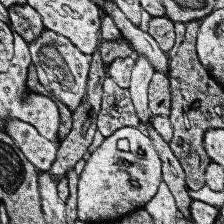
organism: Human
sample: Temporal Lobe